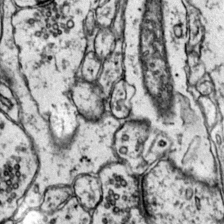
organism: Mouse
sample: Primary visual cortex